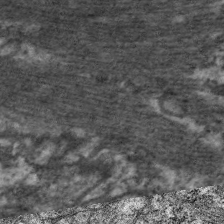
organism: C. elegans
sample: Pharynx